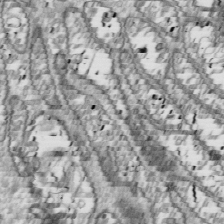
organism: Drosophila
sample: Cell division; meiosis; drosophila spermatocytes